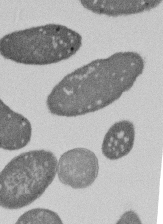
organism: E. coli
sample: Bacterial nucleoid